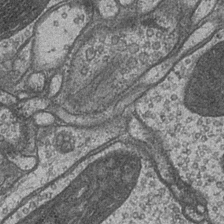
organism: Drosophila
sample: Optic medulla